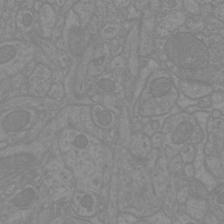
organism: Mouse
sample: Cortical neurons